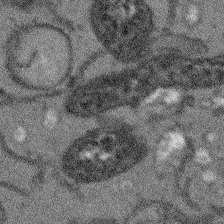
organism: Arabidopsis thaliana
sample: Root tip